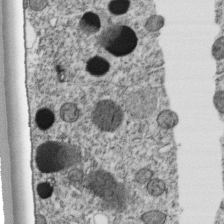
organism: C. elegans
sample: C. elegans embryo early stage